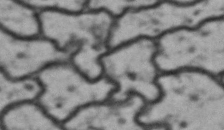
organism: Drosophila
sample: Brain